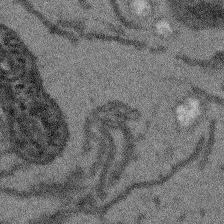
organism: Arabidopsis thaliana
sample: Root tip